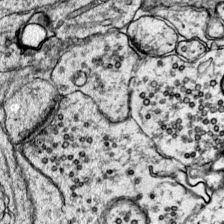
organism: Mouse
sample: Primary visual cortex